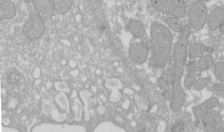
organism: Xenopus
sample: Cilia; centrioles in frog embryo cells